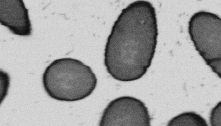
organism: B. subtilis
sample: Bacterial spore